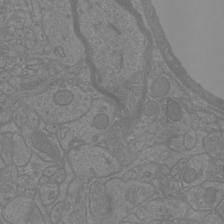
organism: Mouse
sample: Cortical neurons